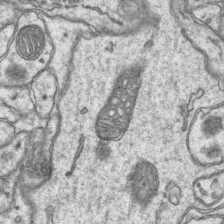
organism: Mouse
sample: CA1 Hippocampus